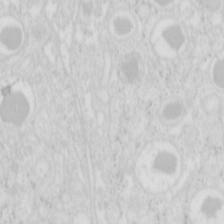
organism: Mouse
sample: Pancreas